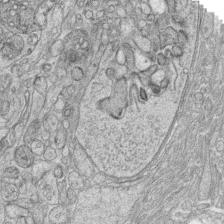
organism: Zebrafish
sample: synaptic ribbons in rod cells and cone cells